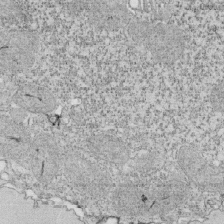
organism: Tetrahymena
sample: Cilia in tetrahymena